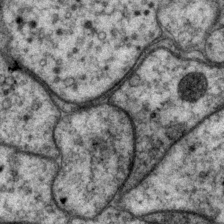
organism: P. pacificus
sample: Pharynx